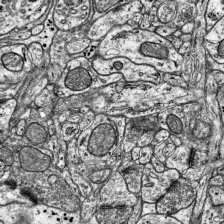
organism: Mouse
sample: Visual Cortex